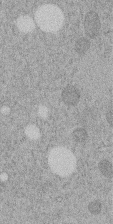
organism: C. elegans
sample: C. elegans embryo early stage